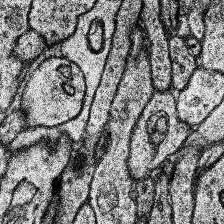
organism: Human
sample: Temporal Lobe